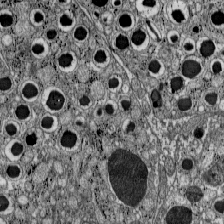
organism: C57BL Mouse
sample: Pancreatic islet